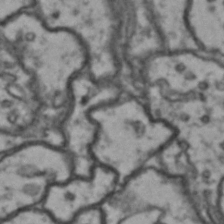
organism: Drosophila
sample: Brain